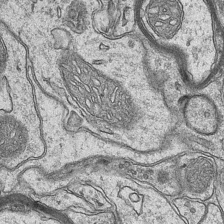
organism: Mouse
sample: CA1 Hippocampus